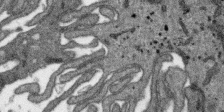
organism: Human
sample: Lung epithelial cells, uninfected (mock) control